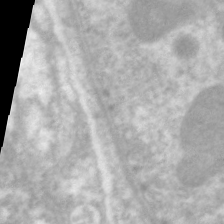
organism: C. elegans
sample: Pharynx